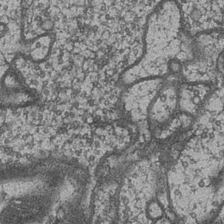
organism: Drosophila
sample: Optic medulla